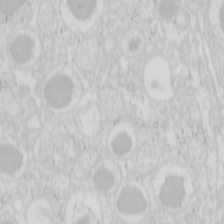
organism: Mouse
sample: Pancreas